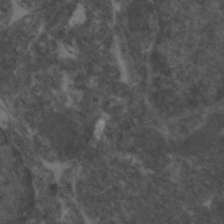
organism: Zebrafish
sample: Zebrafish embryo